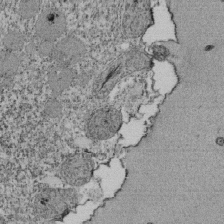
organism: Tetrahymena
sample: Cilia in tetrahymena